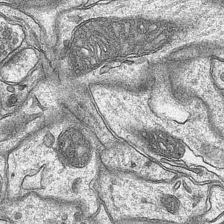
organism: Mouse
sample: CA1 Hippocampus